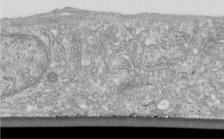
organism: Human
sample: Centriole in fibroblast cells